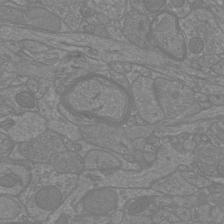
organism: Mouse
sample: Cortical neurons